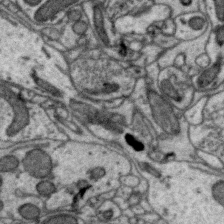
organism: Zebra finch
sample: Brain